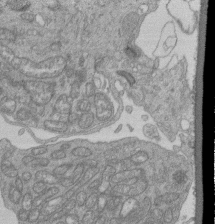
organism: Human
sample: Retinal organoid Rod and Cone cells